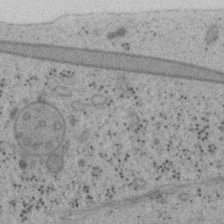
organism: Human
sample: HeLa cells